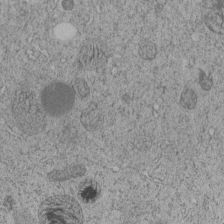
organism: C. elegans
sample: C. elegans embryo early stage